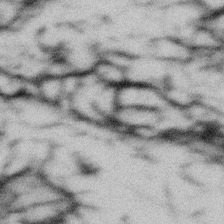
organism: Gemmata obscuriglobus